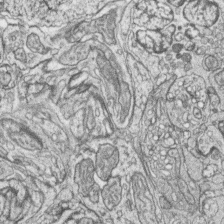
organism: Zebrafish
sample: synaptic ribbons in rod cells and cone cells